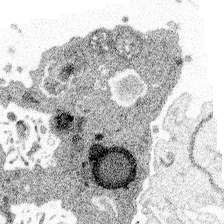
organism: Spongilla lacustris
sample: Multiple